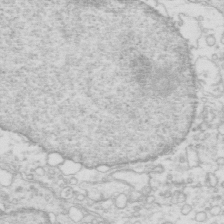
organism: Mouse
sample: Multiciliated cells